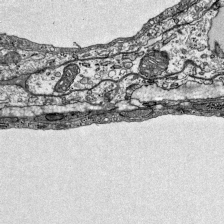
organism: Mouse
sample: Visual Cortex